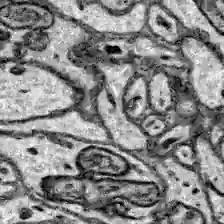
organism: Zebrafish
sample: Brain